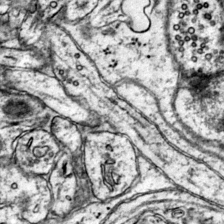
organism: Mouse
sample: Primary visual cortex